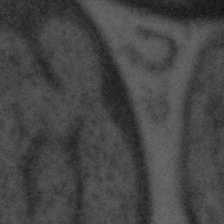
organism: Tuwongella immobilis